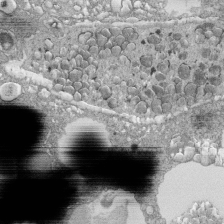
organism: Tetrahymena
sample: Cilia in tetrahymena